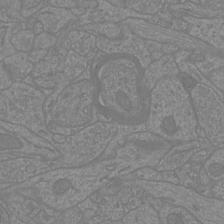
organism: Mouse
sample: Cortical neurons